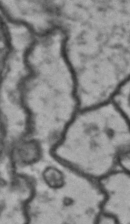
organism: Drosophila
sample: Brain